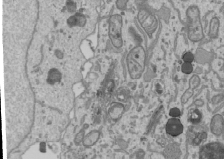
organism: Human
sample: Mitochondria in U2OS cells